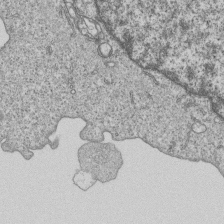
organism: Human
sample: MDA-MB-231 cells